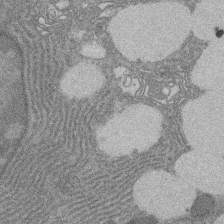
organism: Rat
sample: Salivary granule